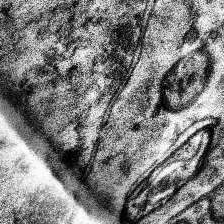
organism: Human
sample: Temporal Lobe